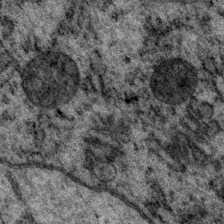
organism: P. pacificus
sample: Pharynx